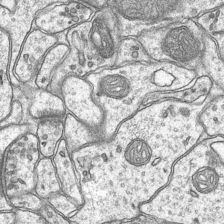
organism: Mouse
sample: CA1 Hippocampus